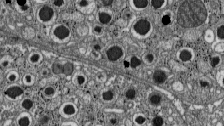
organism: C57BL Mouse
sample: Pancreatic islet